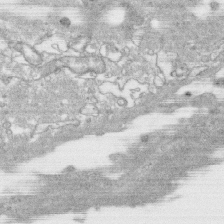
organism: Human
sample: CRL-1474